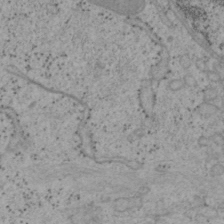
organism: Human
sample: HeLa cells